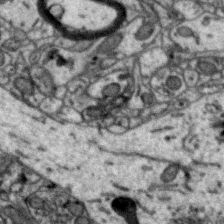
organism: Zebra finch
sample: Brain